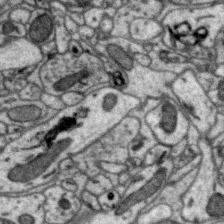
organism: Zebra finch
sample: Brain